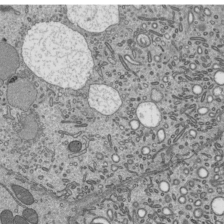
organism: Mouse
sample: Mouse epididymis efferent ductule cilia